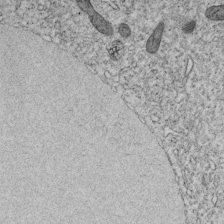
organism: C. elegans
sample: C. elegans embryo early stage